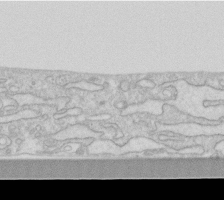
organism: Human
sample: Fibroblast cells